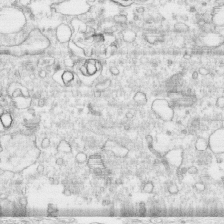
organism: Human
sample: CRL-1474